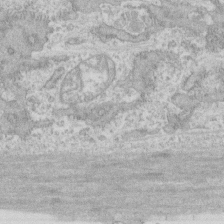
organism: Human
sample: CRL-1474